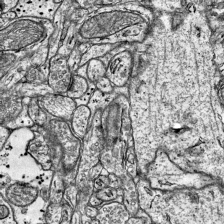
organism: Mouse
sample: Visual Cortex